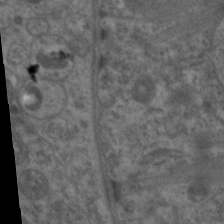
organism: C. elegans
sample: Pharynx